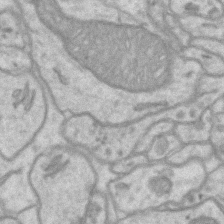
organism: Mouse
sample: CA1 Hippocampus